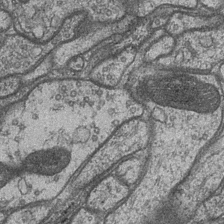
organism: Drosophila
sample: Optic medulla